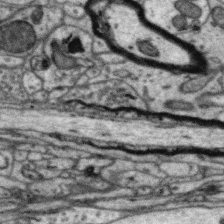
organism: Zebra finch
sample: Brain